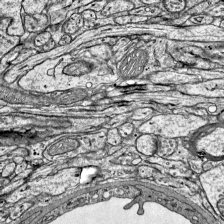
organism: Mouse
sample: Visual Cortex